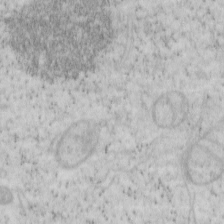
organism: Human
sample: HeLa cells